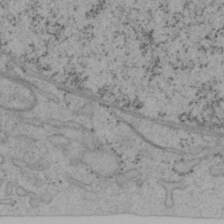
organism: Human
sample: HeLa cells